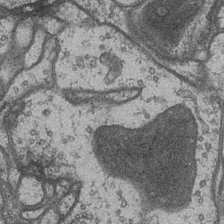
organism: Drosophila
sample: Optic medulla